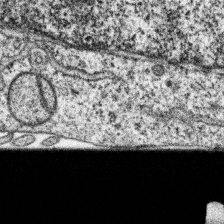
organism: Human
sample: HeLa cells